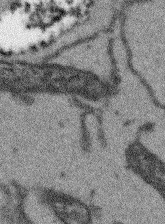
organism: Arabidopsis thaliana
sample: Root tip